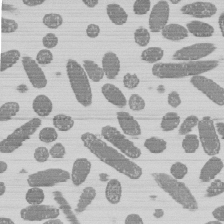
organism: E. coli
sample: Bacterial nucleoid